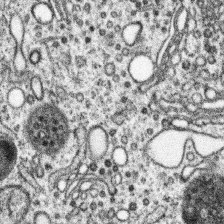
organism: Human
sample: HeLa cells